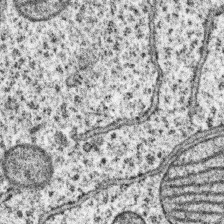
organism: Human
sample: HeLa cells